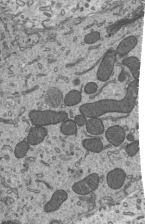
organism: Mouse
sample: Mouse epididymis efferent ductule cilia